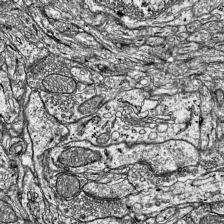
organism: Mouse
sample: Visual Cortex